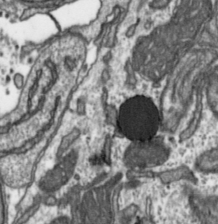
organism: Toxoplasma gondii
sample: Parasites in a vacuole inside a host cell